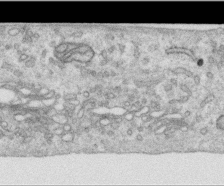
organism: Human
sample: Centriole in RPE cells